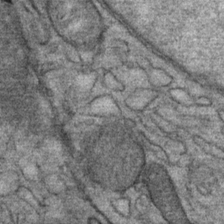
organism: Mouse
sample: Mouse Salivary gland